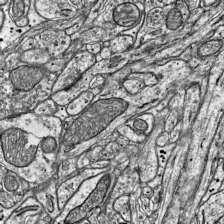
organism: Mouse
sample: Visual Cortex